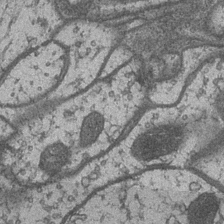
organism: Drosophila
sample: Optic medulla